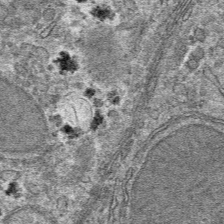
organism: Mouse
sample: Mouse hepatocytes